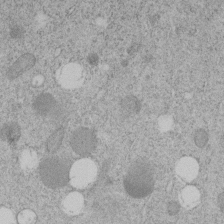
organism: C. elegans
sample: C. elegans embryo early stage